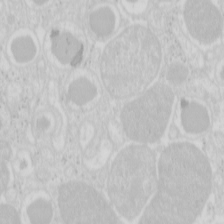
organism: Mouse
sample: Pancreas